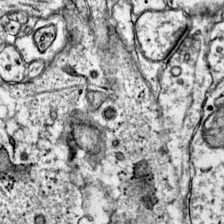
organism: Mouse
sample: Primary visual cortex